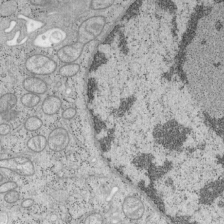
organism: Mouse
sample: OT-I killer T cells with ID8 ovarian cancer cells